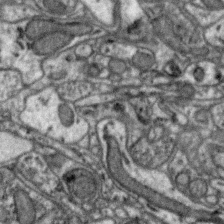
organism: Zebra finch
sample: Brain